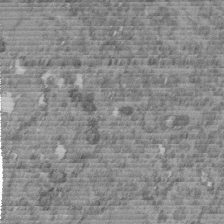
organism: C. elegans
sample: C. elegans embryo early stage